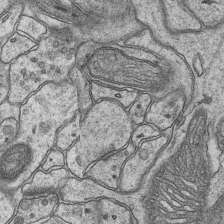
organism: Mouse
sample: CA1 Hippocampus